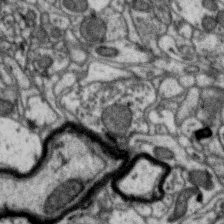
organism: Zebra finch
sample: Brain